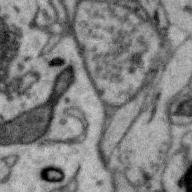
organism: Zebra finch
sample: Brain